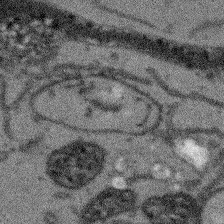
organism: Arabidopsis thaliana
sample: Root tip